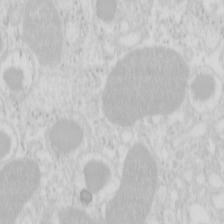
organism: Mouse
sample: Pancreas